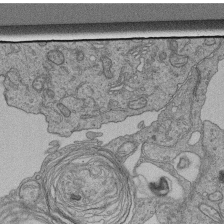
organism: Human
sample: Retinal organoid Rod and Cone cells